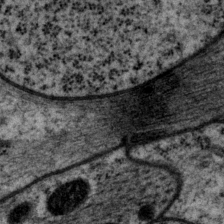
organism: P. pacificus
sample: Pharynx